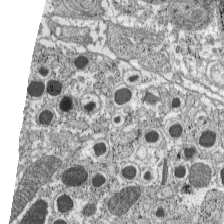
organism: C57BL Mouse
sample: Pancreatic islet